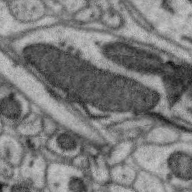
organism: Zebra finch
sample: Brain